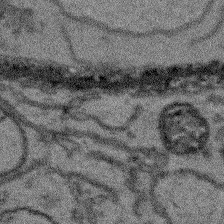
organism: Arabidopsis thaliana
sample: Root tip